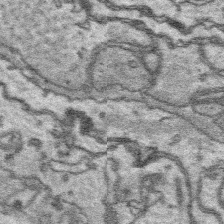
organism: Platynereis dumerilii